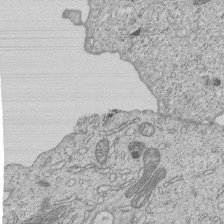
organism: Human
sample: MDA-MB-231 cells